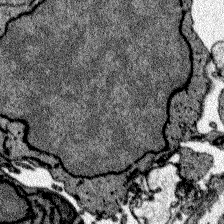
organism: Zebrafish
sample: Larval olfactory bulb